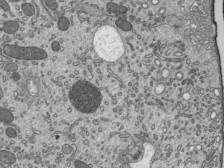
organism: Mouse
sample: Mouse epididymis efferent ductule cilia